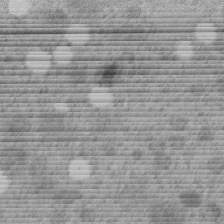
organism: C. elegans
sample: C. elegans embryo early stage